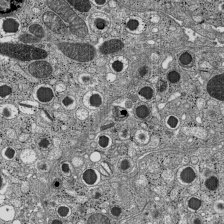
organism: C57BL Mouse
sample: Pancreatic islet